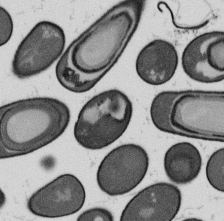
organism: B. subtilis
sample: Bacterial spore